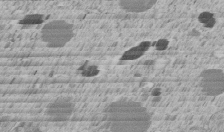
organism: C. elegans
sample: C. elegans embryo early stage